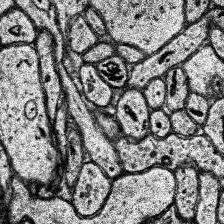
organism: Human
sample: Temporal Lobe